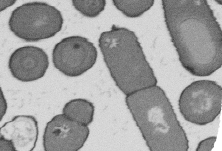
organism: B. subtilis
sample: Bacterial spore